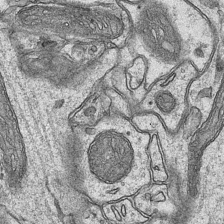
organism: Mouse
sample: CA1 Hippocampus